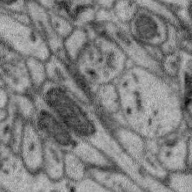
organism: Zebra finch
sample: Brain